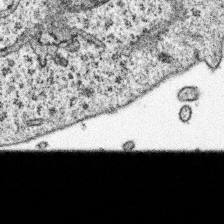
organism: Human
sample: HeLa cells